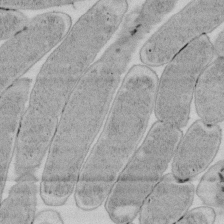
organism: E. coli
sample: Bacterial nucleoid